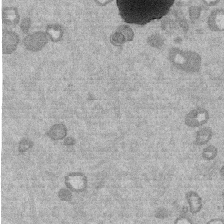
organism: Mouse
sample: Dividing mouse embryo 1 cell stage